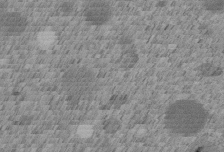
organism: C. elegans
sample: C. elegans embryo early stage